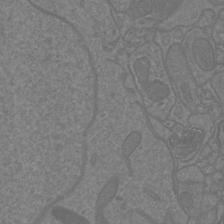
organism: Mouse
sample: Cortical neurons